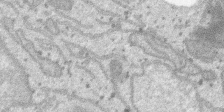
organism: Human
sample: Lung epithelial cells infected with SARS-CoV-2